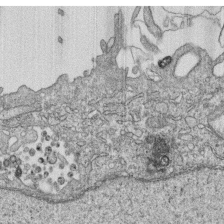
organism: Human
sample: HeLa cell HIV synapse